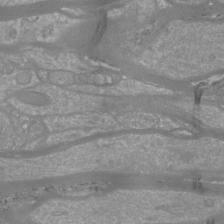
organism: Mouse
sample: Cortical neurons